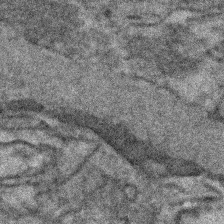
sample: Kidney